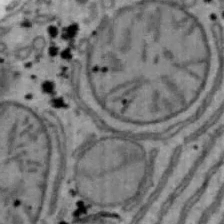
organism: Mouse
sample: Liver